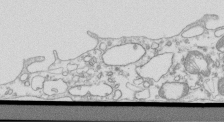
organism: Mouse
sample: Macrophages